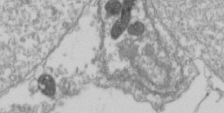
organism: Drosophila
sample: Cell division; meiosis; drosophila spermatocytes